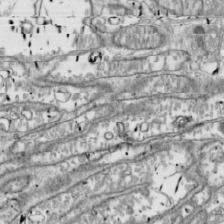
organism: Drosophila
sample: Cell division; meiosis; drosophila spermatocytes